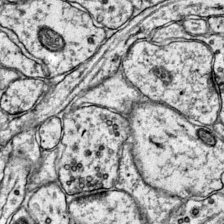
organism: Mouse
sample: Primary visual cortex